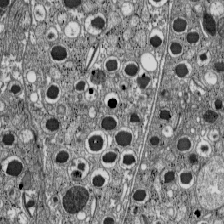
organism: C57BL Mouse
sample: Pancreatic islet